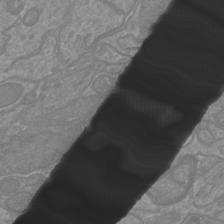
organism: Mouse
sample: Cortical neurons